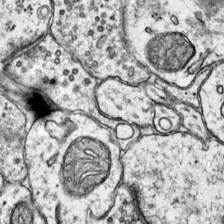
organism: Mouse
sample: Primary visual cortex